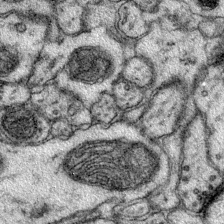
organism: Mouse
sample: Primary visual cortex